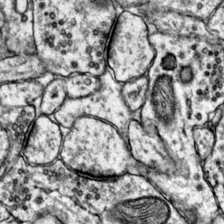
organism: Mouse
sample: Primary visual cortex